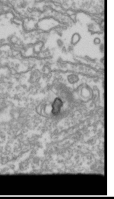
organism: Drosophila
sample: Cell division; meiosis; drosophila spermatocytes